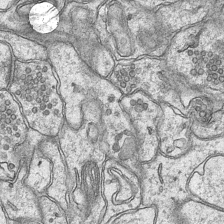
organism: Mouse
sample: CA1 Hippocampus